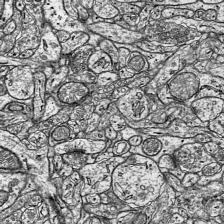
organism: Mouse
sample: Visual Cortex